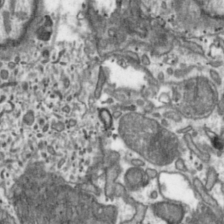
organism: Toxoplasma gondii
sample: Parasites in a vacuole inside a host cell